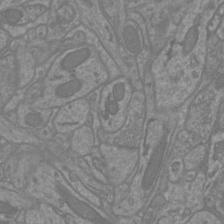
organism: Mouse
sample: Cortical neurons